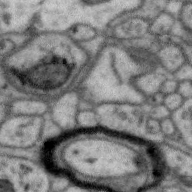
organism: Zebra finch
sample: Brain